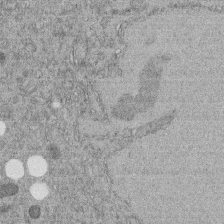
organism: C. elegans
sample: C. elegans embryo early stage